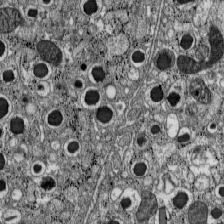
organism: C57BL Mouse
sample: Pancreatic islet